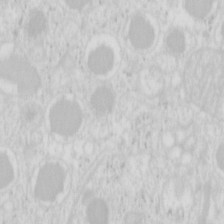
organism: Mouse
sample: Pancreas